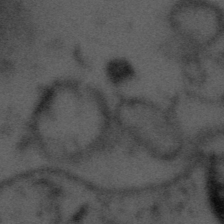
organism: Tuwongella immobilis